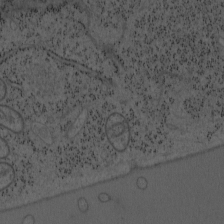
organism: Mouse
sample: OT-I killer T cells with ID8 ovarian cancer cells